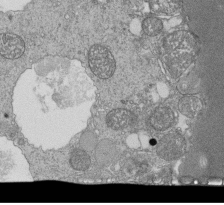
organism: Tetrahymena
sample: Cilia in tetrahymena